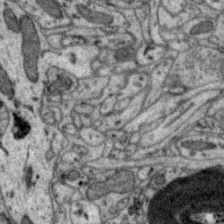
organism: Zebra finch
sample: Brain